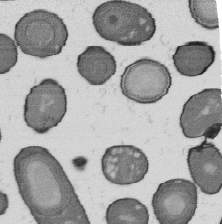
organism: B. subtilis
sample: Bacterial spore